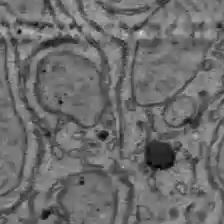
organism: C57BL Mouse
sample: Liver